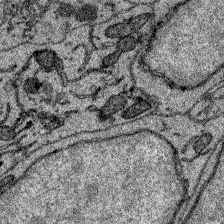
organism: Zebrafish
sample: Larval olfactory bulb